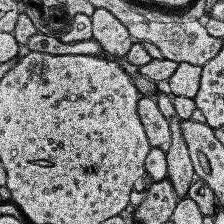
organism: Human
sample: Temporal Lobe